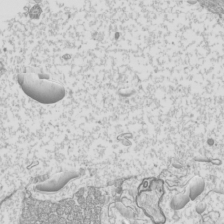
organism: Mouse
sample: Cilia; mouse epididymis